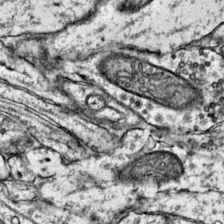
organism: Mouse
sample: Primary visual cortex